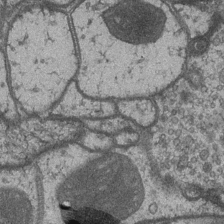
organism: Drosophila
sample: Optic medulla